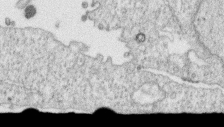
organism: Human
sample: HeLa cell HIV synapse